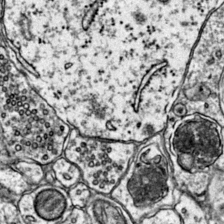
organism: Mouse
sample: Primary visual cortex